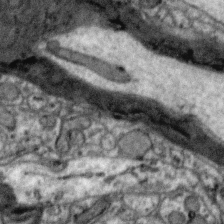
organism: Zebra finch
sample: Brain